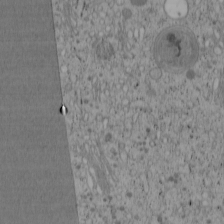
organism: African green monkey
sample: COS-7 cells